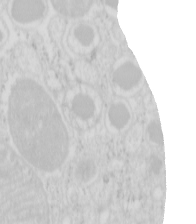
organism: Mouse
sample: Pancreas